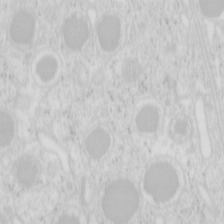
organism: Mouse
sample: Pancreas